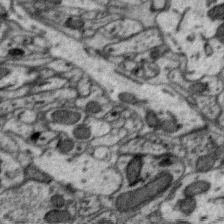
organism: Zebra finch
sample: Brain